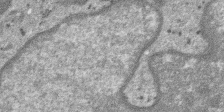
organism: Human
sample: Lung epithelial cells infected with SARS-CoV-2